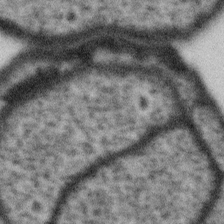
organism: Gemmata obscuriglobus